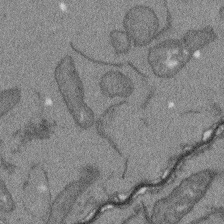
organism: Arabidopsis thaliana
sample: Root tip